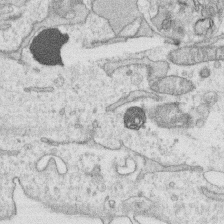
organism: Human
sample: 1205lu cells